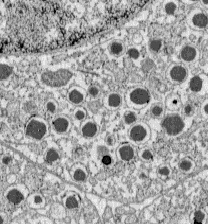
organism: C57BL Mouse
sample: Pancreatic islet